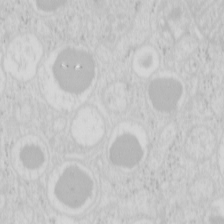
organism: Mouse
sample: Pancreas